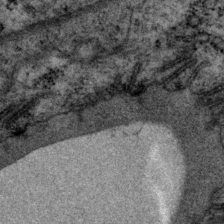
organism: P. pacificus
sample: Pharynx